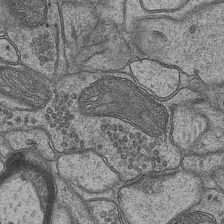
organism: Mouse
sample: CA1 Hippocampus